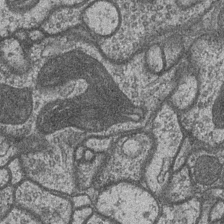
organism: Drosophila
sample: Optic medulla